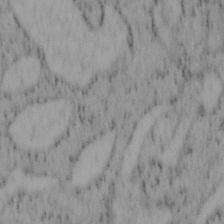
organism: Mouse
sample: OT-I killer T cells with ID8 ovarian cancer cells